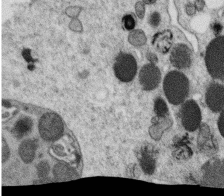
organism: C. elegans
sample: C. elegans oocyte; sperm cells